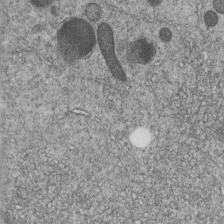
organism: C. elegans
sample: C. elegans embryo early stage